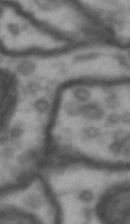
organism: Drosophila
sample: Brain